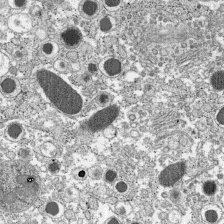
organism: C57BL Mouse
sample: Pancreatic islet